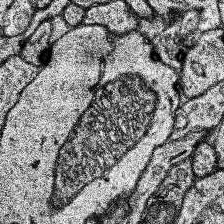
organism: Human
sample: Temporal Lobe